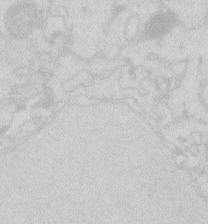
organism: Zebrafish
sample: Macrophage